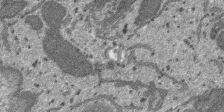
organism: Human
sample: Lung epithelial cells infected with SARS-CoV-2